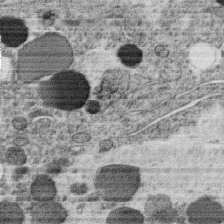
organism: C. elegans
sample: C. elegans oocyte; sperm cells